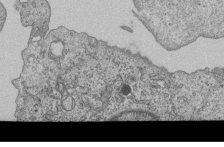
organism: Human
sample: MDA-MB-231 cells